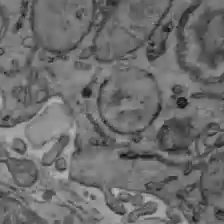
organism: C57BL Mouse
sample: Liver